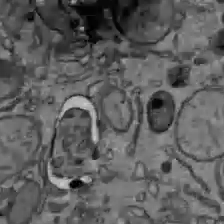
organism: C57BL Mouse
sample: Liver